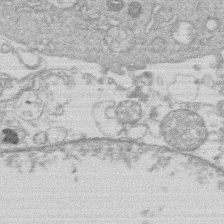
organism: Human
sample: Macrophage cells